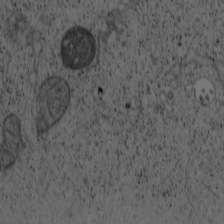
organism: African green monkey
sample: COS-7 cells